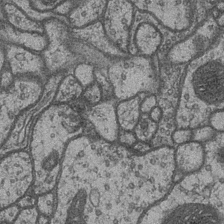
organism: Drosophila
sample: Optic medulla